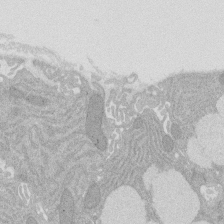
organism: Rat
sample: Salivary granule